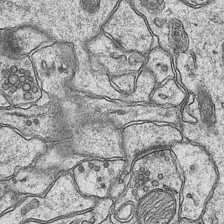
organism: Mouse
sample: CA1 Hippocampus